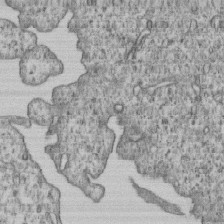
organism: Human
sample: MDA-MB-231 cells